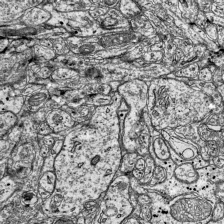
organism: Mouse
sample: Visual Cortex